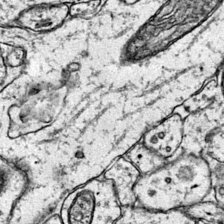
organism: Mouse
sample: Primary visual cortex